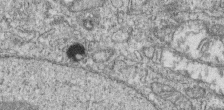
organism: Human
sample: HeLa cell HIV synapse